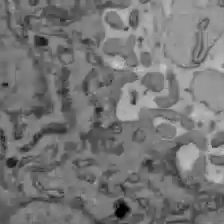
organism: C57BL Mouse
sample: Liver